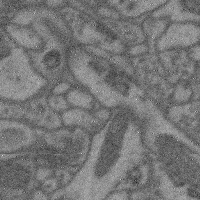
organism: Mouse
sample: Cerebral cortex